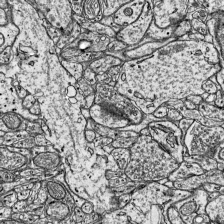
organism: Mouse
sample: Visual Cortex